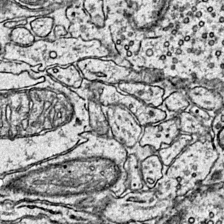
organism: Mouse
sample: Primary visual cortex